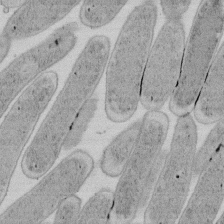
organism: E. coli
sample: Bacterial nucleoid